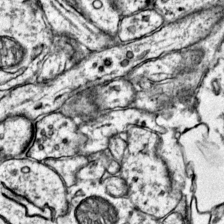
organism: Mouse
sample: Primary visual cortex